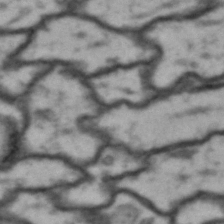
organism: Drosophila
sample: Brain